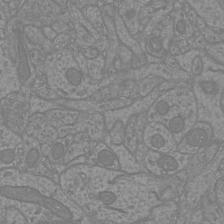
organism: Mouse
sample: Cortical neurons